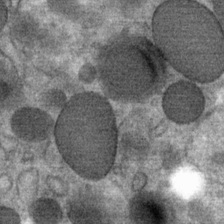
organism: Mouse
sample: Mouse Salivary gland